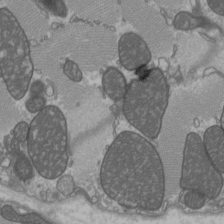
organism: C57BL Mouse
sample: Heart